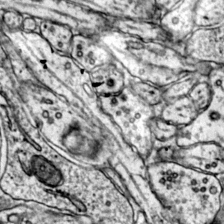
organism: Mouse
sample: Primary visual cortex